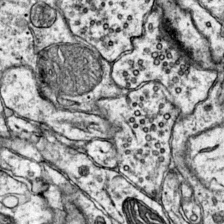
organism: Mouse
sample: Primary visual cortex